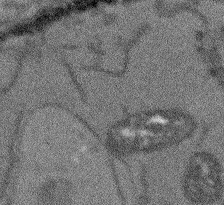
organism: Arabidopsis thaliana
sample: Root tip